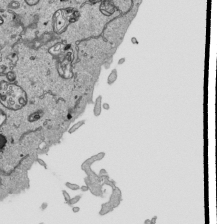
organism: Human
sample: Mitochondria in HCT116 cells